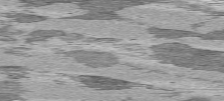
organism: C57BL Mouse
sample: Heart